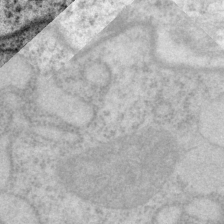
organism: P. pacificus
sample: Pharynx